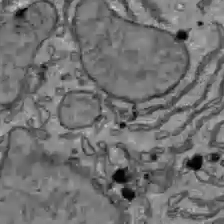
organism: C57BL Mouse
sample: Liver